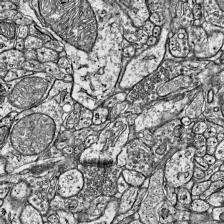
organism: Mouse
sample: Visual Cortex